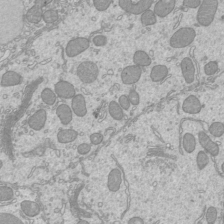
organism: Mouse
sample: Cilia; mouse epididymis